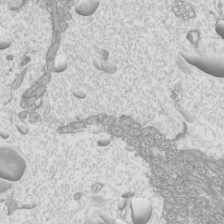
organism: Mouse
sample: Cilia; mouse epididymis